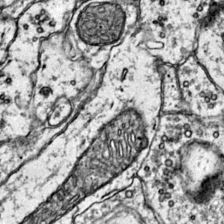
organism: Mouse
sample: Primary visual cortex